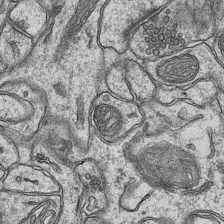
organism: Mouse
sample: CA1 Hippocampus